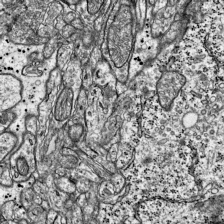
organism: Mouse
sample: Visual Cortex